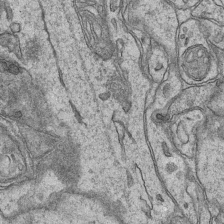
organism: Mouse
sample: CA1 Hippocampus